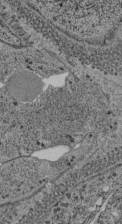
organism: C. elegans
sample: C. elegans pharynx